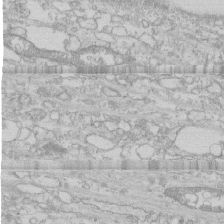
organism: Human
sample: CRL-1474